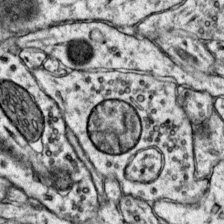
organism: Mouse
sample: Primary visual cortex